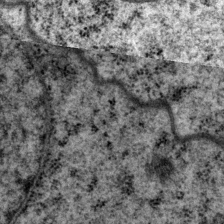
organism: P. pacificus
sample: Pharynx